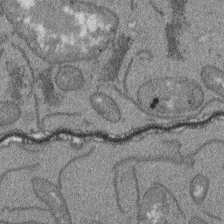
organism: Arabidopsis thaliana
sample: Root tip